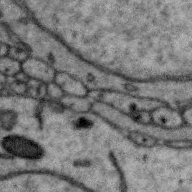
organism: Zebra finch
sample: Brain